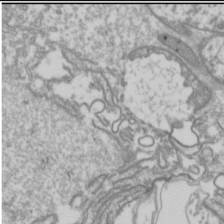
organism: Drosophila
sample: Cell division; meiosis; drosophila spermatocytes